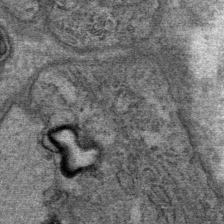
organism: Mouse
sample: Mouse Salivary gland